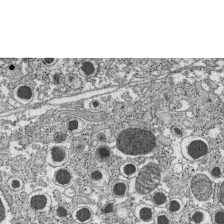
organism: C57BL Mouse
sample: Pancreatic islet